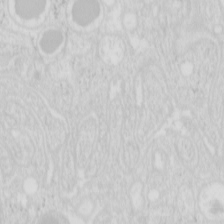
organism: Mouse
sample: Pancreas